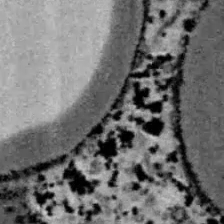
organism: Mouse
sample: Liver from an obese (ob/ob) mouse